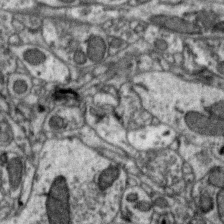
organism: Zebra finch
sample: Brain